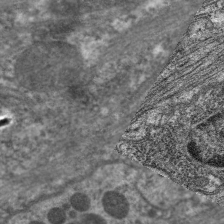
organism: C. elegans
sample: Pharynx